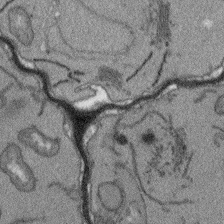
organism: Arabidopsis thaliana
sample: Root tip